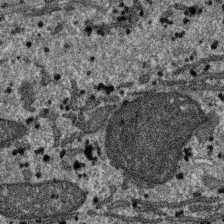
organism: Human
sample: Lung epithelial cells infected with SARS-CoV-2